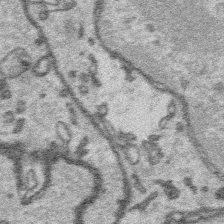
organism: Platynereis dumerilii